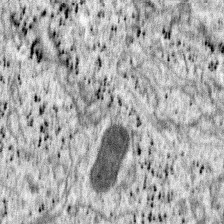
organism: Human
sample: HeLa cells